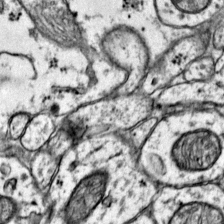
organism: Mouse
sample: Primary visual cortex